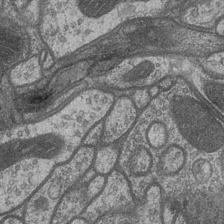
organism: Drosophila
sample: Optic medulla